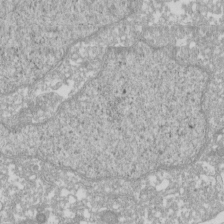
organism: Xenopus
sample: Cilia; centrioles in frog embryo cells